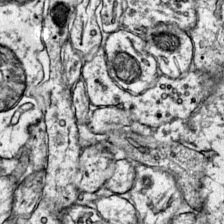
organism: Mouse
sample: Primary visual cortex